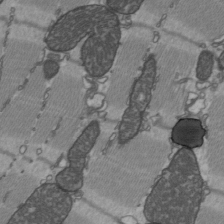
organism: C57BL Mouse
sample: Heart